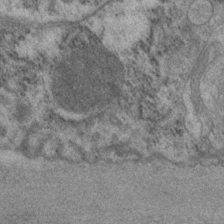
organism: P. pacificus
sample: Pharynx